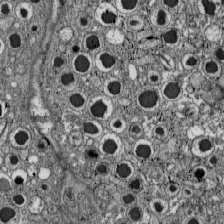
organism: C57BL Mouse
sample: Pancreatic islet